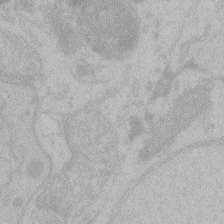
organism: Zebrafish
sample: Macrophage infected with Toxoplasma gondii